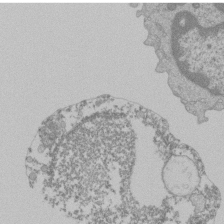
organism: Mouse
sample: Activated Pmel transgenic CD8+ T Cells